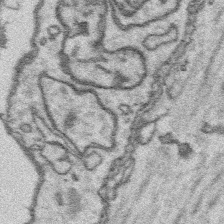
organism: Platynereis dumerilii